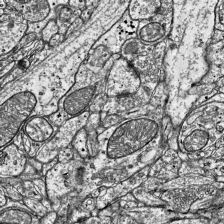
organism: Mouse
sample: Visual Cortex